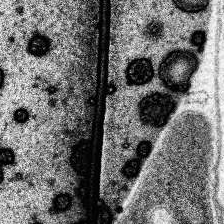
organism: Human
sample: Temporal Lobe